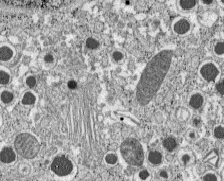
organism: C57BL Mouse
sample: Pancreatic islet